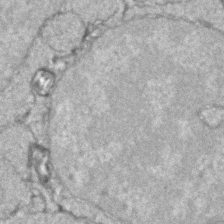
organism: Zebrafish